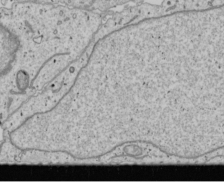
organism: Human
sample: Mitochondria in U2OS cells